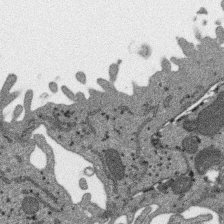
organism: Human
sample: Lung epithelial cells infected with SARS-CoV-2